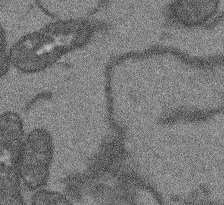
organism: Arabidopsis thaliana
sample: Root tip